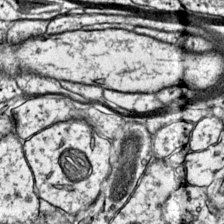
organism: Mouse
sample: Primary visual cortex